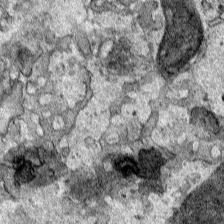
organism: Human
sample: Mitochondria in HCT116 cells